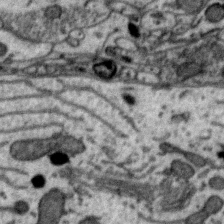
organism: Zebra finch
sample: Brain